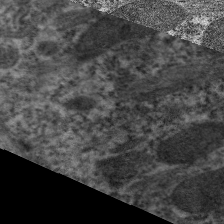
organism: C. elegans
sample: Pharynx